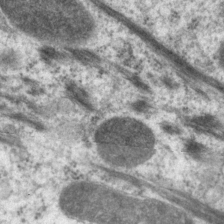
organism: P. pacificus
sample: Pharynx